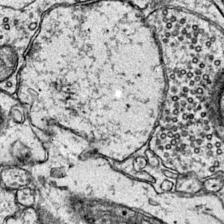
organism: Mouse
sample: Primary visual cortex